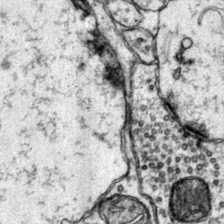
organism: Mouse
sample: Primary visual cortex